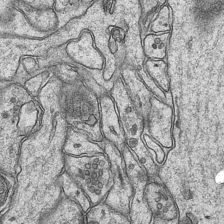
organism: Mouse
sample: CA1 Hippocampus